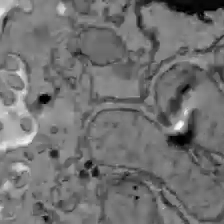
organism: C57BL Mouse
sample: Liver